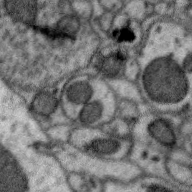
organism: Zebra finch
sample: Brain